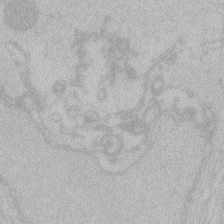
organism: Zebrafish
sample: Macrophage infected with Toxoplasma gondii